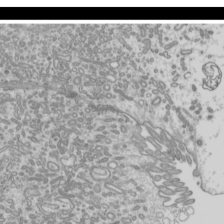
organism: Mouse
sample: Cilia; mouse epididymis